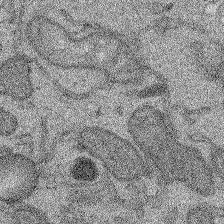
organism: Human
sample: HeLa cells